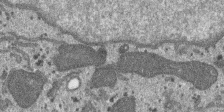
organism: Human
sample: Lung epithelial cells infected with SARS-CoV-2